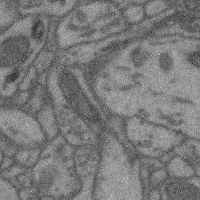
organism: Mouse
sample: Cerebral cortex